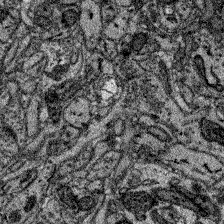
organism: Zebrafish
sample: Larval olfactory bulb